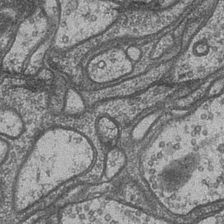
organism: Drosophila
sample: Optic medulla